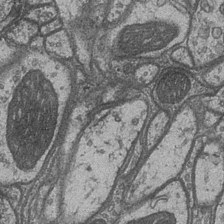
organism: Drosophila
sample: Optic medulla